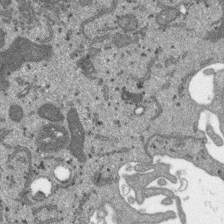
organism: Human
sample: Lung epithelial cells infected with SARS-CoV-2